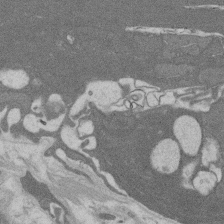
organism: Rat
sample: Salivary granule